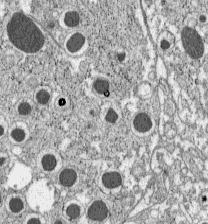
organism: C57BL Mouse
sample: Pancreatic islet